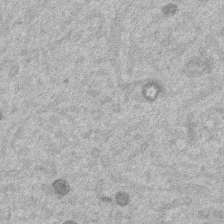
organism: Mouse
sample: Dividing mouse embryo 1 cell stage